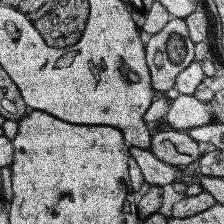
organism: Human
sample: Temporal Lobe